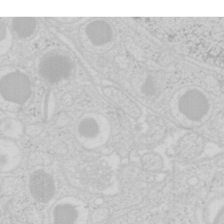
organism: Mouse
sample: Pancreas